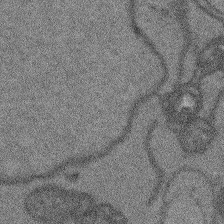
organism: Arabidopsis thaliana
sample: Root tip